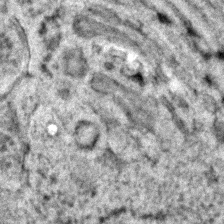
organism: C. elegans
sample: C. elegans embryo